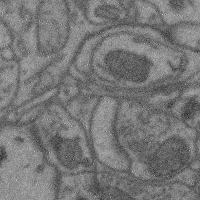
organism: Mouse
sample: Cerebral cortex